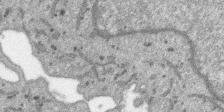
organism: Human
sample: Lung epithelial cells infected with SARS-CoV-2